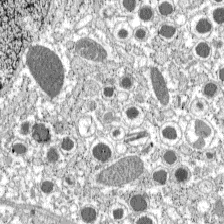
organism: C57BL Mouse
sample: Pancreatic islet